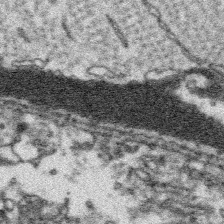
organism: Platynereis dumerilii